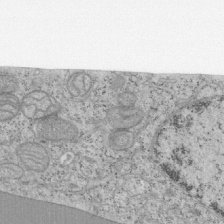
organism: Human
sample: HeLa cells